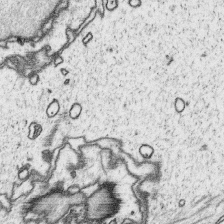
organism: Platynereis dumerilii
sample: Parapodia